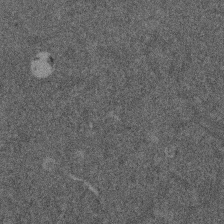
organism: Mouse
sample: Dividing mouse embryo 1 cell stage